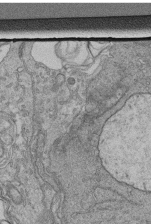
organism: Human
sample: Retinal organoid Rod and Cone cells